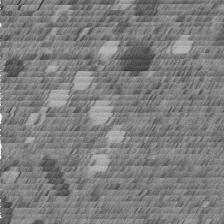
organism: C. elegans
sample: C. elegans embryo early stage